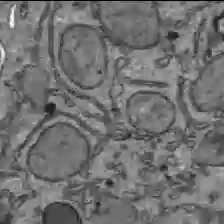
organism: C57BL Mouse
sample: Liver